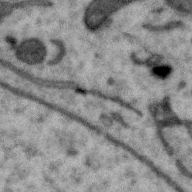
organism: Zebra finch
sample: Brain